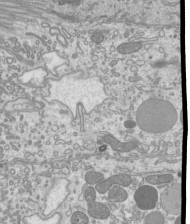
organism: Mouse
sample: Cilia; mouse epididymis